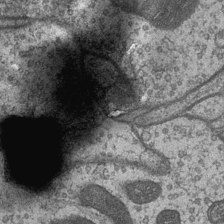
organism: Drosophila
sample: Optic medulla